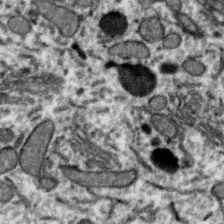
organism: Zebra finch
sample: Brain